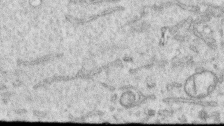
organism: Human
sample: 1205lu cells